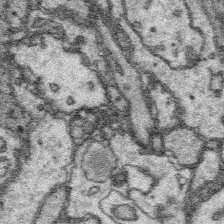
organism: Platynereis dumerilii